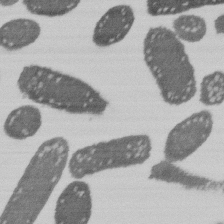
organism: E. coli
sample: Bacterial nucleoid